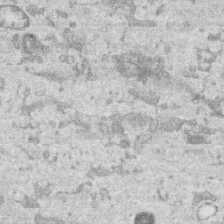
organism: Human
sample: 1205lu cells